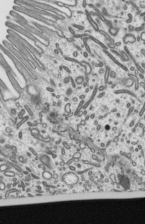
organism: Mouse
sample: Mouse epididymis efferent ductule cilia